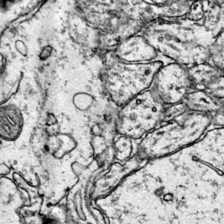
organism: Mouse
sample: Primary visual cortex